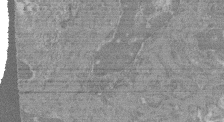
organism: Mouse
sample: Glomerulus